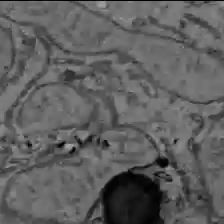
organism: C57BL Mouse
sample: Liver